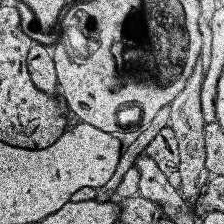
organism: Human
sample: Temporal Lobe